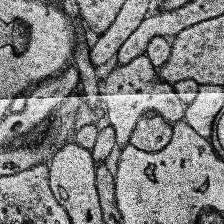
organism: Human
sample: Temporal Lobe